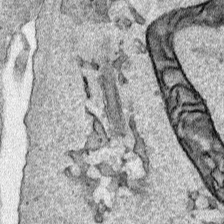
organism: Human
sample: Mitochondria in HCT116 cells